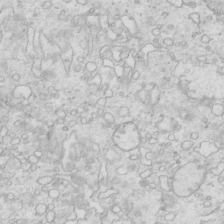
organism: Mouse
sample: Multiciliated cells